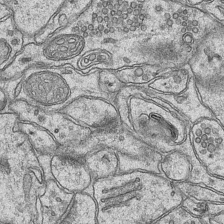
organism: Mouse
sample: CA1 Hippocampus